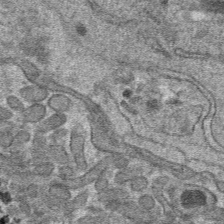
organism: Mouse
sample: Mouse hepatocytes